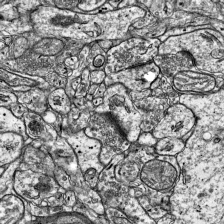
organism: Mouse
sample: Visual Cortex